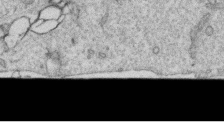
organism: Human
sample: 1205lu cells